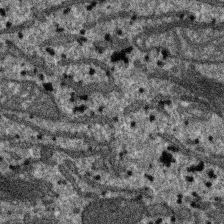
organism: Human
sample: Lung epithelial cells infected with SARS-CoV-2